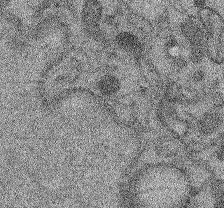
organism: Human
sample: HeLa cells